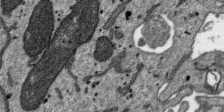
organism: Human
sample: Lung epithelial cells, uninfected (mock) control